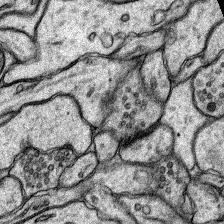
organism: Rat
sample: Hippocampus